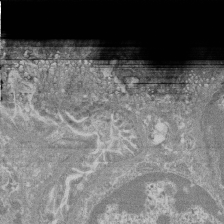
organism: Mouse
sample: Glomerulus